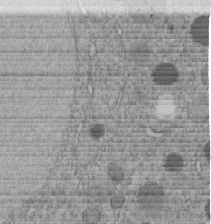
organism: C. elegans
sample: C. elegans embryo early stage